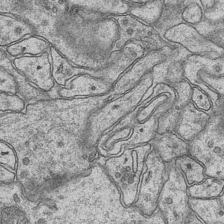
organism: Mouse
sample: CA1 Hippocampus